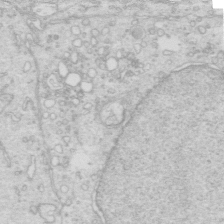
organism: Mouse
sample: Multiciliated cells